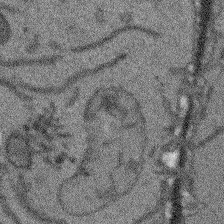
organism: Arabidopsis thaliana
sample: Root tip